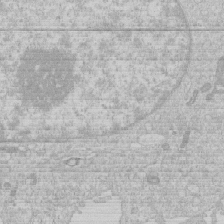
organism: Human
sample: Macrophage cells